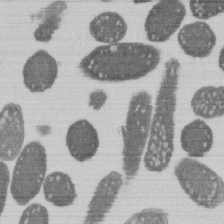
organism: E. coli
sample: Bacterial nucleoid